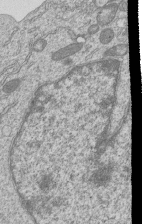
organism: Human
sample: MDA-MB-231 cells